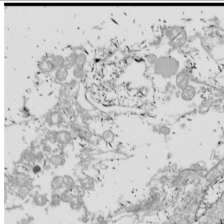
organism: Drosophila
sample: Cell division; meiosis; drosophila spermatocytes